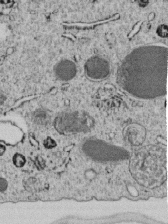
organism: C. elegans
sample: C. elegans embryo early stage